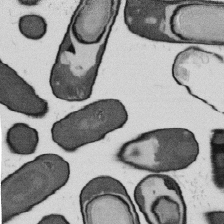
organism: B. subtilis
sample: Bacterial spore